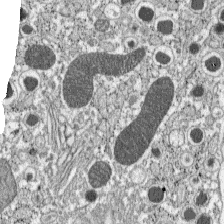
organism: C57BL Mouse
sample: Pancreatic islet